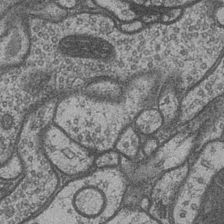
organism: Drosophila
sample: Optic medulla